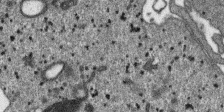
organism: Human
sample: Lung epithelial cells infected with SARS-CoV-2